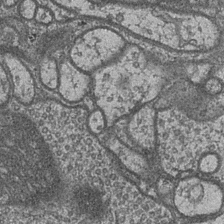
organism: Drosophila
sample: Optic medulla